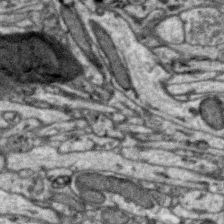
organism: Zebra finch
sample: Brain